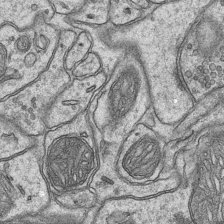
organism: Mouse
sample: CA1 Hippocampus